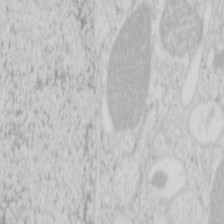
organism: Mouse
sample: Pancreas